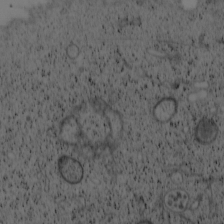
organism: African green monkey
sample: COS-7 cells